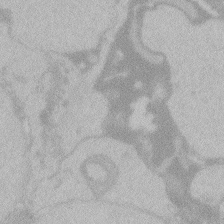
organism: Zebrafish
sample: Macrophage infected with Toxoplasma gondii